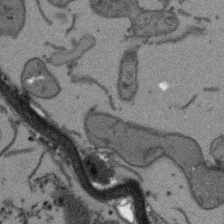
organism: Arabidopsis thaliana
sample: Root tip